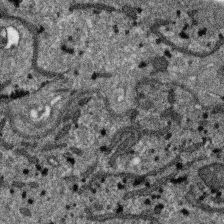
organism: Human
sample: Lung epithelial cells infected with SARS-CoV-2